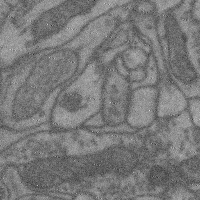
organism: Mouse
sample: Cerebral cortex